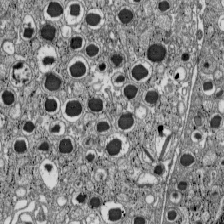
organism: C57BL Mouse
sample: Pancreatic islet